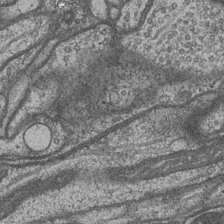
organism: Drosophila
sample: Optic medulla